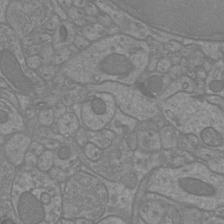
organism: Mouse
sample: Cortical neurons